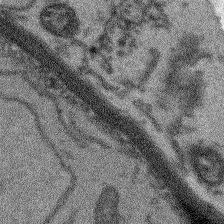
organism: Arabidopsis thaliana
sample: Root tip